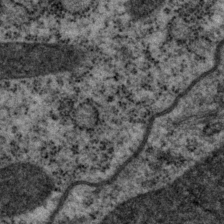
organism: P. pacificus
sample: Pharynx